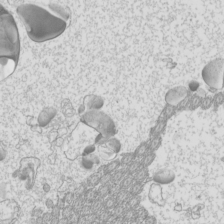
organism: Mouse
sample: Cilia; mouse epididymis